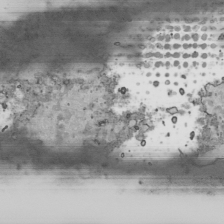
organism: Human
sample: Mitochondria in HCT116 cells